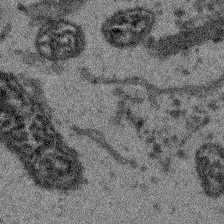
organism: Arabidopsis thaliana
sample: Root tip